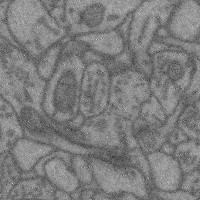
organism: Mouse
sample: Cerebral cortex